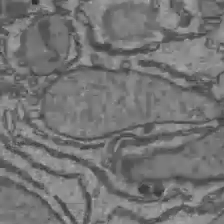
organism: C57BL Mouse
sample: Liver